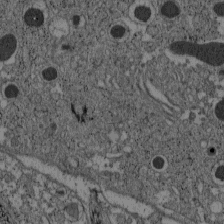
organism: C57BL Mouse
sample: Pancreatic islet